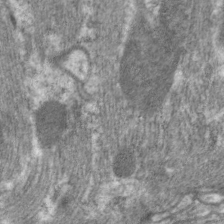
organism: C. elegans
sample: Pharynx